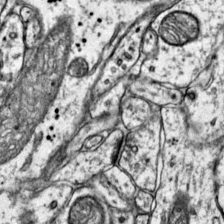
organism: Mouse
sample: Primary visual cortex